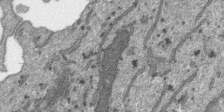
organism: Human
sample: Lung epithelial cells infected with SARS-CoV-2